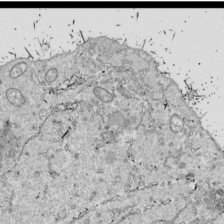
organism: Drosophila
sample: Cell division; meiosis; drosophila spermatocytes